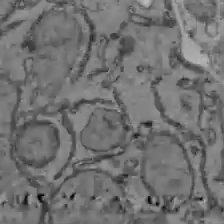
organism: C57BL Mouse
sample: Liver